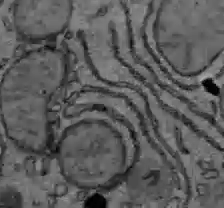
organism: C57BL Mouse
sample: Liver